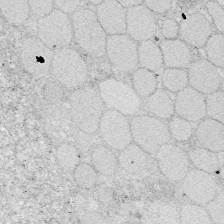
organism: Zebrafish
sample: Whole-Brain